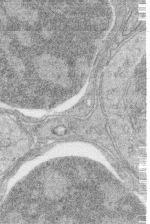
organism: Zebrafish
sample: synaptic ribbons in rod cells and cone cells